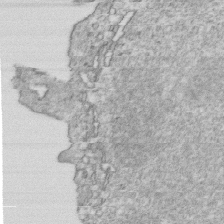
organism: Mouse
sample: Activated OT-1 CD8+ T cells